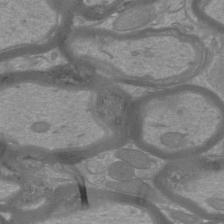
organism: Mouse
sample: Cortical neurons